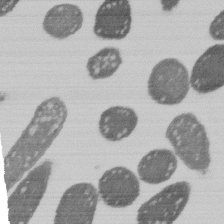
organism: E. coli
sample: Bacterial nucleoid